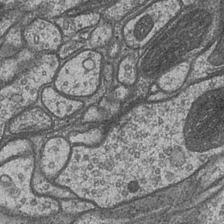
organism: Drosophila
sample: Optic medulla